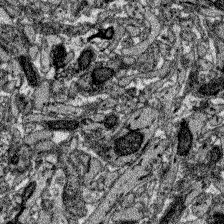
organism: Zebrafish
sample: Larval olfactory bulb